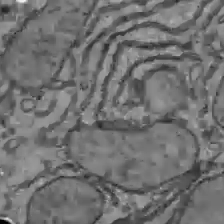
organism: C57BL Mouse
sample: Liver